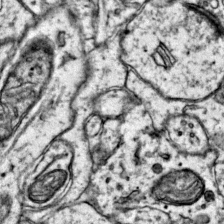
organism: Mouse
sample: Primary visual cortex